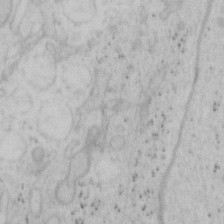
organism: Human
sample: HeLa cells